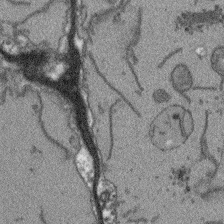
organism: Arabidopsis thaliana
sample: Root tip